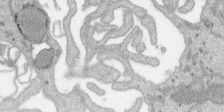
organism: Human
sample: Lung epithelial cells infected with SARS-CoV-2